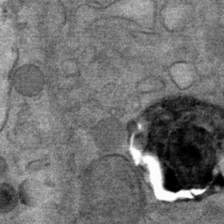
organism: Mouse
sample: Mouse Salivary gland